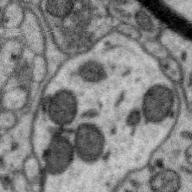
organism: Zebra finch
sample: Brain